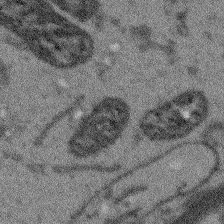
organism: Arabidopsis thaliana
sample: Root tip